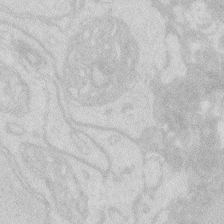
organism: Zebrafish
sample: Macrophage